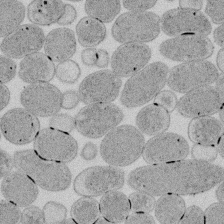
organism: E. coli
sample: Bacterial nucleoid